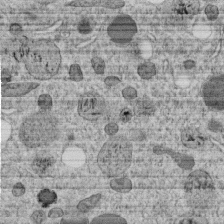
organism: C. elegans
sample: C. elegans embryo early stage